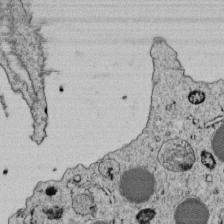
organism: C. elegans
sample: C. elegans embryo early stage